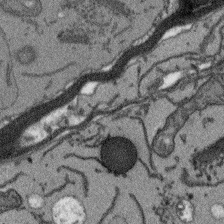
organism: Arabidopsis thaliana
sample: Root tip